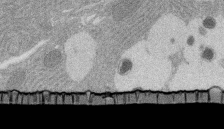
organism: Rat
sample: Salivary granule